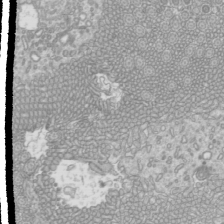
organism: Mouse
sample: Cilia; mouse epididymis